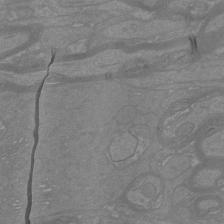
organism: Mouse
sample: Cortical neurons